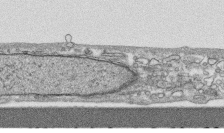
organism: Human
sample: CRL-1474